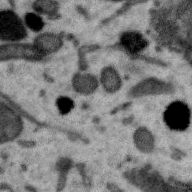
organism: Zebra finch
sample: Brain